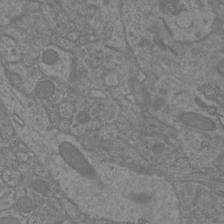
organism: Mouse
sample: Cortical neurons